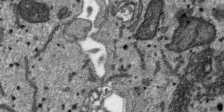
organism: Human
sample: Lung epithelial cells, uninfected (mock) control